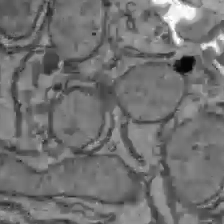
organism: C57BL Mouse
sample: Liver